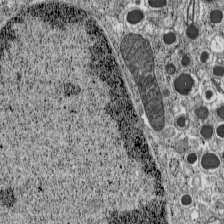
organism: C57BL Mouse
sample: Pancreatic islet